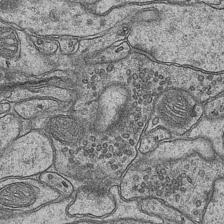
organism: Mouse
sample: CA1 Hippocampus